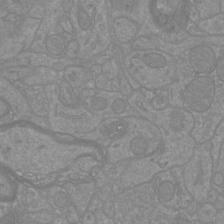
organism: Mouse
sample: Cortical neurons